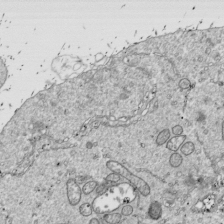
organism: Drosophila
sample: Cell division; meiosis; drosophila spermatocytes